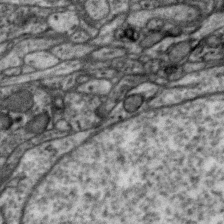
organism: Zebra finch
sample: Brain